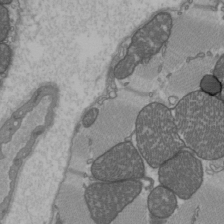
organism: C57BL Mouse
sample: Heart